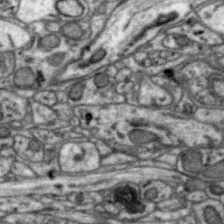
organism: Zebra finch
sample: Brain